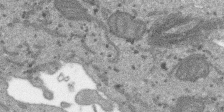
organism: Human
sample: Lung epithelial cells infected with SARS-CoV-2